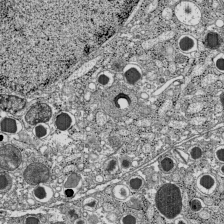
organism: C57BL Mouse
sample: Pancreatic islet